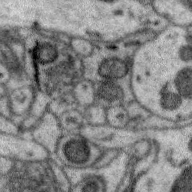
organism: Zebra finch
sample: Brain